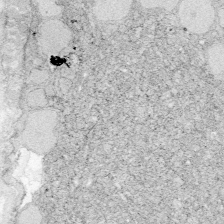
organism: Zebrafish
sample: Whole-Brain